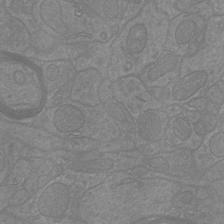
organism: Mouse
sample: Cortical neurons